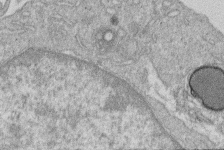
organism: Human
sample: Macrophage cells